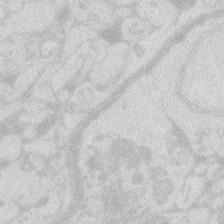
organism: Zebrafish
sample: Macrophage